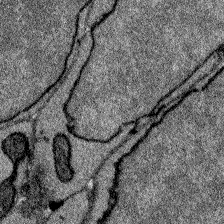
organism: Zebrafish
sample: Larval olfactory bulb